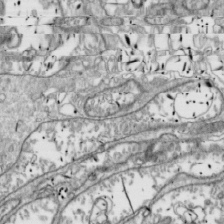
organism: Drosophila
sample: Cell division; meiosis; drosophila spermatocytes